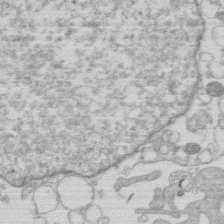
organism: Human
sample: Macrophage cells